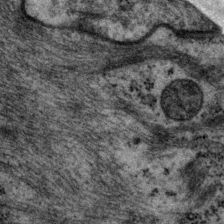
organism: P. pacificus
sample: Pharynx